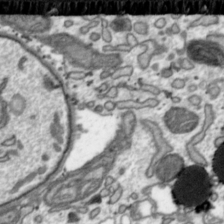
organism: Toxoplasma gondii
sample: Parasites in a vacuole inside a host cell